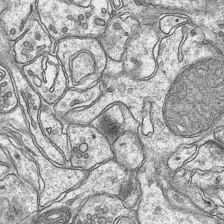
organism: Mouse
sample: CA1 Hippocampus